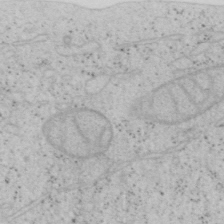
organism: Human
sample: HeLa cells